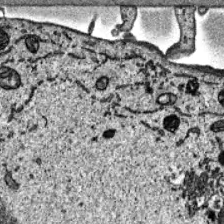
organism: Human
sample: HeLa cells